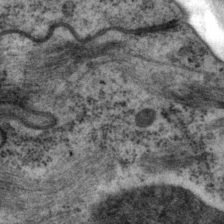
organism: P. pacificus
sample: Pharynx